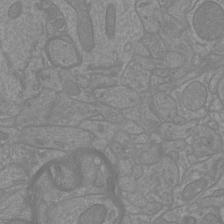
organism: Mouse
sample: Cortical neurons